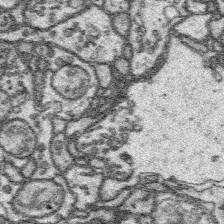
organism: Platynereis dumerilii